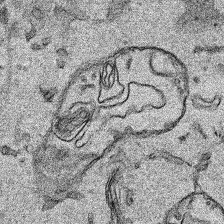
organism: Human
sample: Mitochondria in HCT116 cells